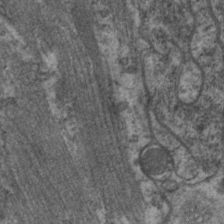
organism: C. elegans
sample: Pharynx